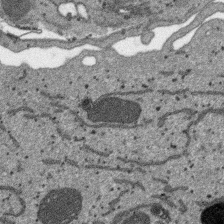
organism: Human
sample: Lung epithelial cells infected with SARS-CoV-2